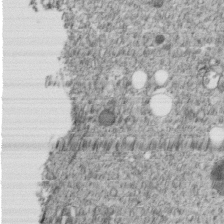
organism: C. elegans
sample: C. elegans embryo early stage